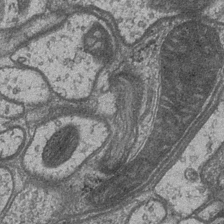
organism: Drosophila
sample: Optic medulla